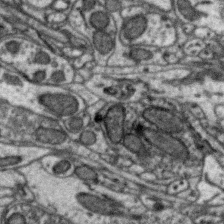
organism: Zebra finch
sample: Brain